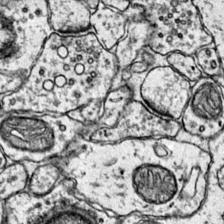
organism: Mouse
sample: Primary visual cortex